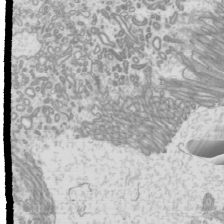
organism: Mouse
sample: Cilia; mouse epididymis